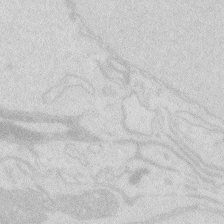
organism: Zebrafish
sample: Macrophage